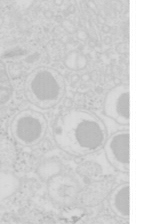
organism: Mouse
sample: Pancreas